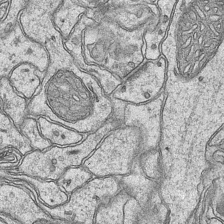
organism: Mouse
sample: CA1 Hippocampus